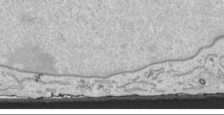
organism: Human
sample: Mitochondria in HCT116 cells